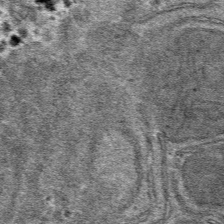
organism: Mouse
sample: Mouse hepatocytes